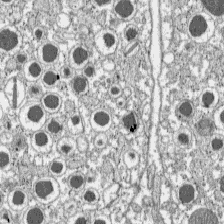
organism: C57BL Mouse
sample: Pancreatic islet